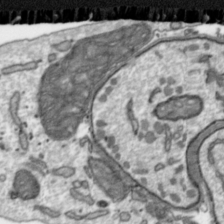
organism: Toxoplasma gondii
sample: Parasites in a vacuole inside a host cell